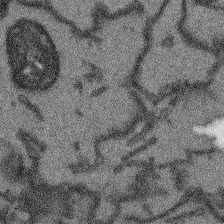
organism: Arabidopsis thaliana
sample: Root tip